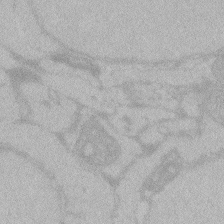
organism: Zebrafish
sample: Macrophage infected with Toxoplasma gondii